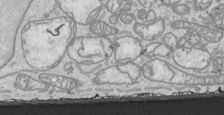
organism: Human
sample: Mitochondria in HCT116 cells